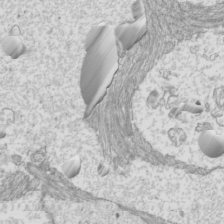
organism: Mouse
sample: Cilia; mouse epididymis